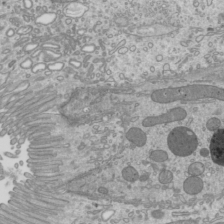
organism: Mouse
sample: Cilia; mouse epididymis